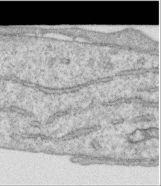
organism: Human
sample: Centriole in RPE cells